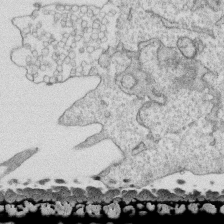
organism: Human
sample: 1205lu cells